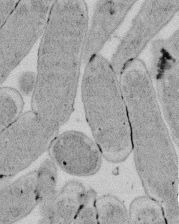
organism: E. coli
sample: Bacterial nucleoid